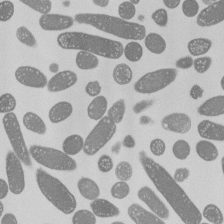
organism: E. coli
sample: Bacterial nucleoid